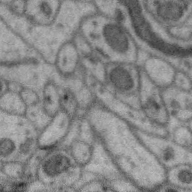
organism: Zebra finch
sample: Brain